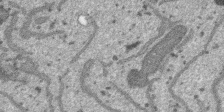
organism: Human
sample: Lung epithelial cells infected with SARS-CoV-2